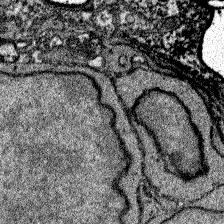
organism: Zebrafish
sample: Larval olfactory bulb